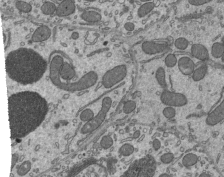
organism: Mouse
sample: Mouse epididymis efferent ductule cilia